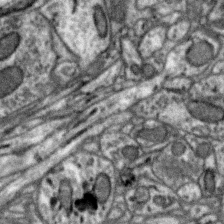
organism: Zebra finch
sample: Brain